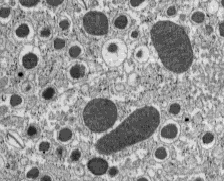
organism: C57BL Mouse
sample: Pancreatic islet